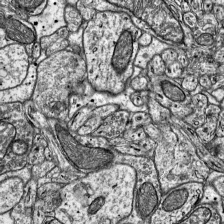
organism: Mouse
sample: Visual Cortex